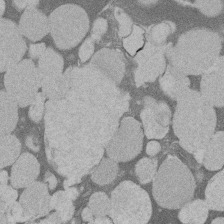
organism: Rat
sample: Salivary granule